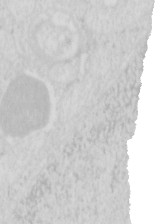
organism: Mouse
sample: Pancreas